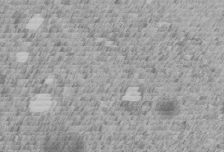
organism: C. elegans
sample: C. elegans embryo early stage